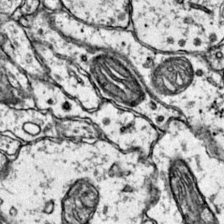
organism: Mouse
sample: Primary visual cortex